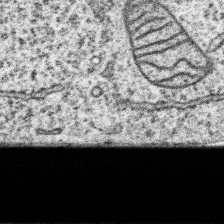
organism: Human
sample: HeLa cells